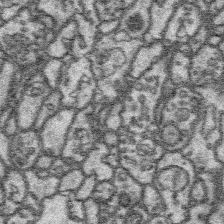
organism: Platynereis dumerilii